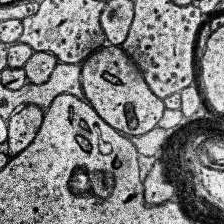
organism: Human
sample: Temporal Lobe